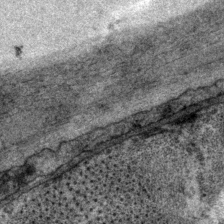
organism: P. pacificus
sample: Pharynx